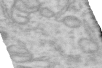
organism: Human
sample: Centriole in RPE cells